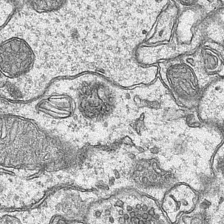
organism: Mouse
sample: CA1 Hippocampus